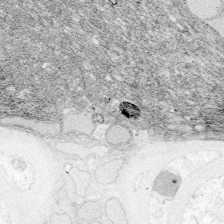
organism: Zebrafish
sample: Whole-Brain